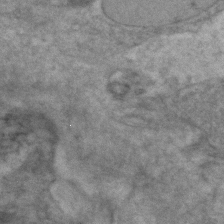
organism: Zebrafish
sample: Zebrafish embryo